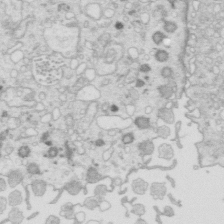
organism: Mouse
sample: Multiciliated cells